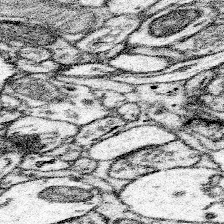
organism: Mouse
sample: Somatosensory cortex neuropil